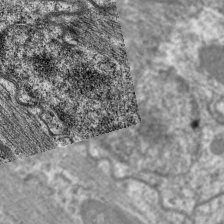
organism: C. elegans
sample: Pharynx